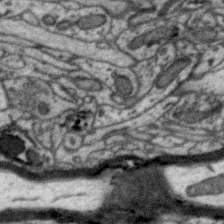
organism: Zebra finch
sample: Brain